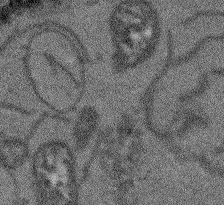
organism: Arabidopsis thaliana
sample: Root tip